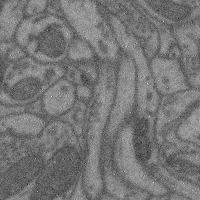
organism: Mouse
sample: Cerebral cortex